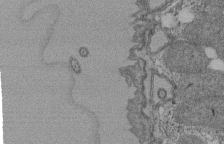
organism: Tetrahymena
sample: Cilia in tetrahymena